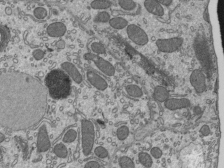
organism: Mouse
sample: Mouse epididymis efferent ductule cilia